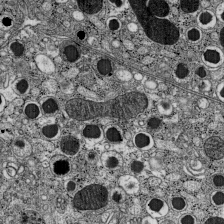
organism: C57BL Mouse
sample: Pancreatic islet